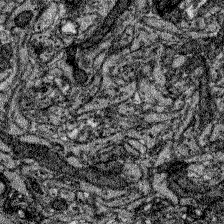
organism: Zebrafish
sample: Larval olfactory bulb